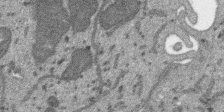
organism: Human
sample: Lung epithelial cells infected with SARS-CoV-2